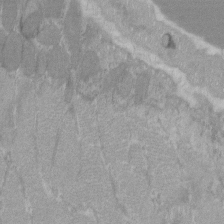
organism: C57BL Mouse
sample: Tibialis anterior muscle cell